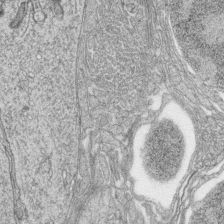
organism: Zebrafish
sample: synaptic ribbons in rod cells and cone cells